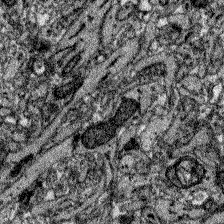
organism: Zebrafish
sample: Larval olfactory bulb